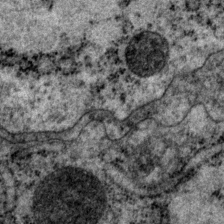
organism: P. pacificus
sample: Pharynx